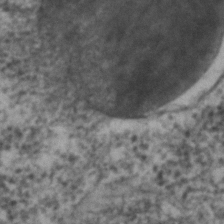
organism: C. elegans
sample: C. elegans embryo